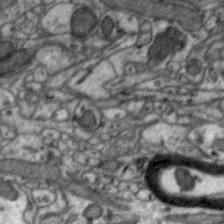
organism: Zebra finch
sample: Brain